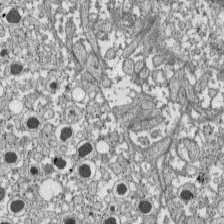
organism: C57BL Mouse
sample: Pancreatic islet